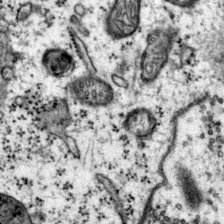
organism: Mouse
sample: Primary visual cortex